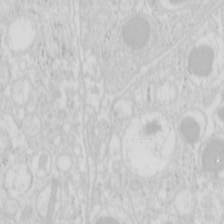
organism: Mouse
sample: Pancreas